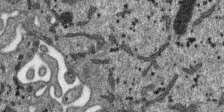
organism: Human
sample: Lung epithelial cells infected with SARS-CoV-2